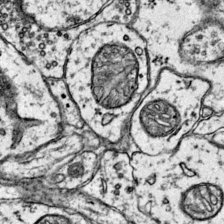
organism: Mouse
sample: Primary visual cortex